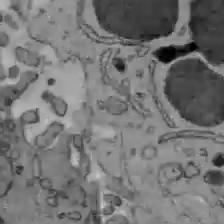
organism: C57BL Mouse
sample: Liver